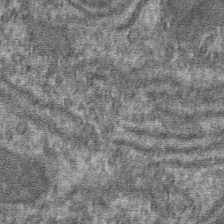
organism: Mouse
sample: Mouse hepatocytes